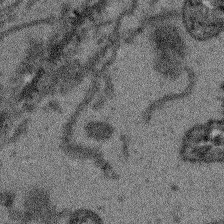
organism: Arabidopsis thaliana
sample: Root tip